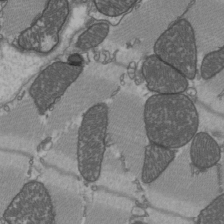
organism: C57BL Mouse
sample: Heart